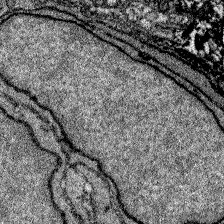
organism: Zebrafish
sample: Larval olfactory bulb